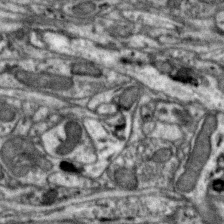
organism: Zebra finch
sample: Brain